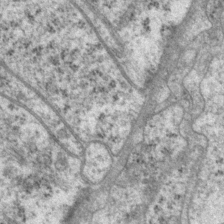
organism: P. pacificus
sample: Pharynx